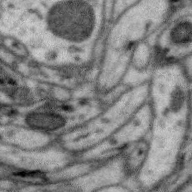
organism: Zebra finch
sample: Brain